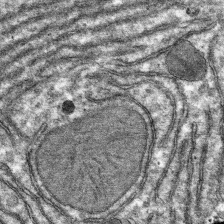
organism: Mouse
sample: Mouse hepatocytes